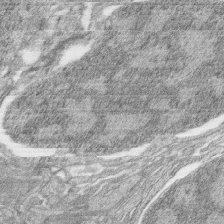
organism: Zebrafish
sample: synaptic ribbons in rod cells and cone cells